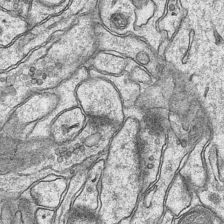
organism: Mouse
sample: CA1 Hippocampus